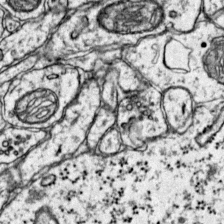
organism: Mouse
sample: Primary visual cortex